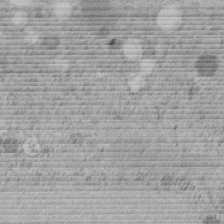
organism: C. elegans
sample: C. elegans embryo early stage